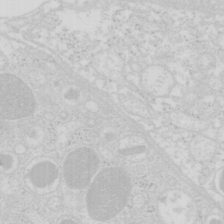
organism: Mouse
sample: Pancreas